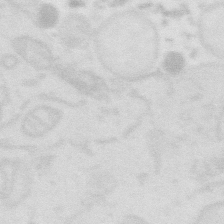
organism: Human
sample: HeLa cells